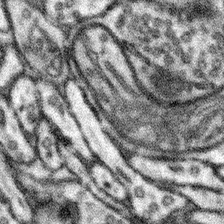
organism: Mouse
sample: Somatosensory cortex neuropil